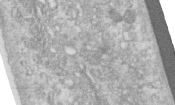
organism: Human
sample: Centriole in RPE cells